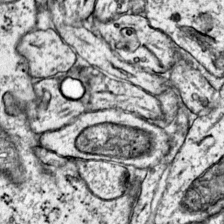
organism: Mouse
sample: Primary visual cortex